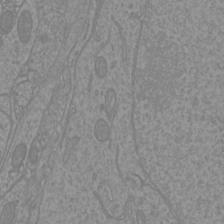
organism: Mouse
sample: Cortical neurons